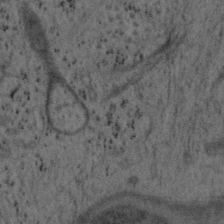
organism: Human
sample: HeLa cells